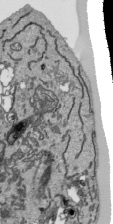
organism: Human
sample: Mitochondria in HCT116 cells